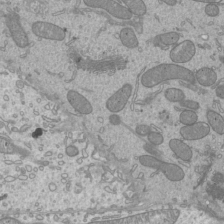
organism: Mouse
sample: Cilia; mouse epididymis